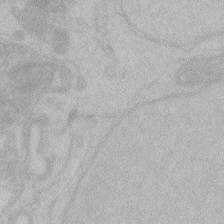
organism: Zebrafish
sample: Macrophage infected with Toxoplasma gondii